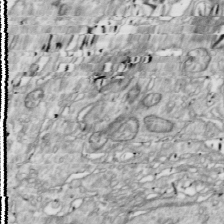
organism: Drosophila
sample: Cell division; meiosis; drosophila spermatocytes